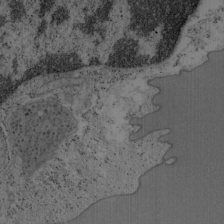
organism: Mouse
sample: OT-I killer T cells with ID8 ovarian cancer cells